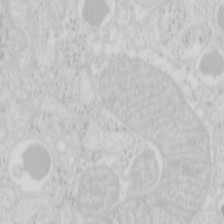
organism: Mouse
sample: Pancreas